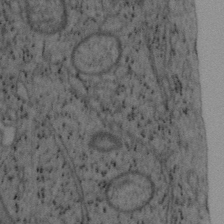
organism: Human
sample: HeLa cells